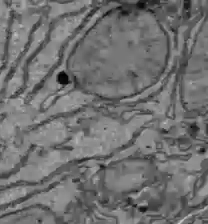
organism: C57BL Mouse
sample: Liver